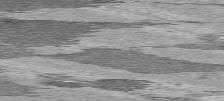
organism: C57BL Mouse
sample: Heart